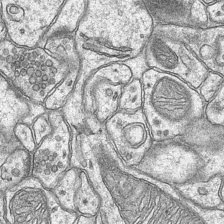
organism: Mouse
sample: CA1 Hippocampus